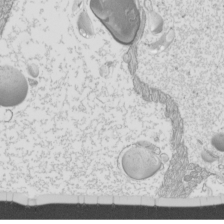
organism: Mouse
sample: Cilia; mouse epididymis